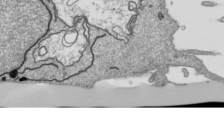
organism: Human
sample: Mitochondria in HCT116 cells